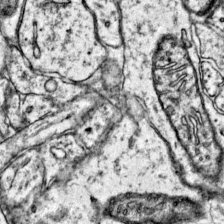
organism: Mouse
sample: Primary visual cortex